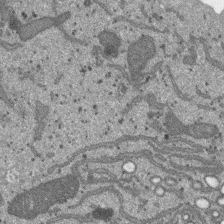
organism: Human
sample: Lung epithelial cells infected with SARS-CoV-2